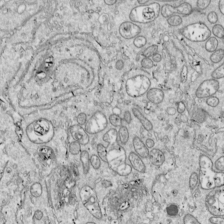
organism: Drosophila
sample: Cell division; meiosis; drosophila spermatocytes